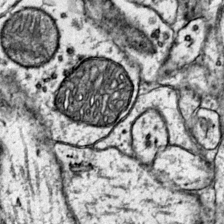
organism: Mouse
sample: Primary visual cortex